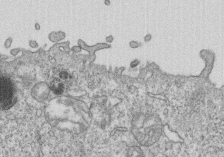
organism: Human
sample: HeLa cell HIV synapse